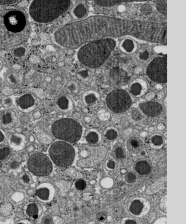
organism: C57BL Mouse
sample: Pancreatic islet